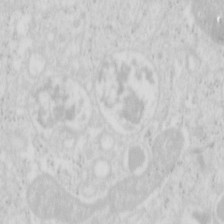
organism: Mouse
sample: Pancreas